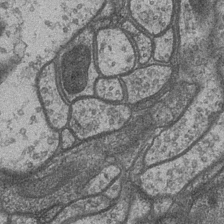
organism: Drosophila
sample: Optic medulla